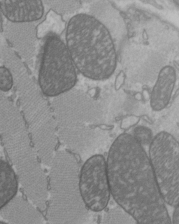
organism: C57BL Mouse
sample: Heart